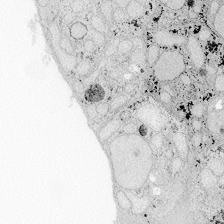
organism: Zebrafish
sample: Whole-Brain